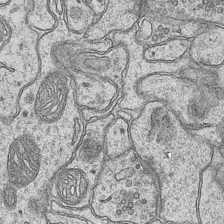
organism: Mouse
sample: CA1 Hippocampus